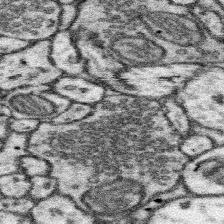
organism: Mouse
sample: Somatosensory cortex neuropil